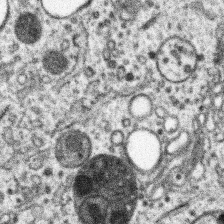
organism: Human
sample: HeLa cells